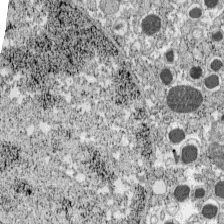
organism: C57BL Mouse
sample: Pancreatic islet